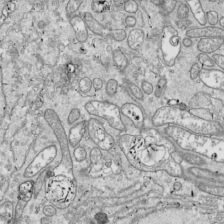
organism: Drosophila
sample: Cell division; meiosis; drosophila spermatocytes